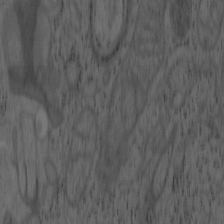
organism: Human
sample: HeLa cells